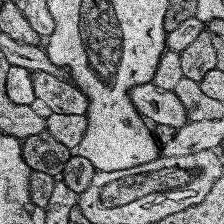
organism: Human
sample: Temporal Lobe